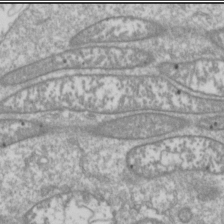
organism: Drosophila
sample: Cell division; meiosis; drosophila spermatocytes